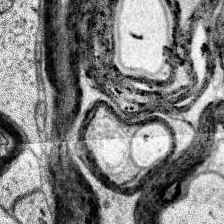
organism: Human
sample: Temporal Lobe